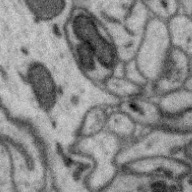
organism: Zebra finch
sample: Brain